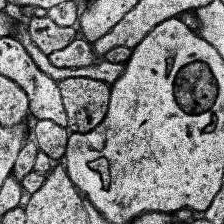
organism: Human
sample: Temporal Lobe